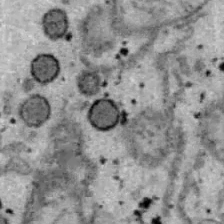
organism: Mouse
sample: Liver from an obese (ob/ob) mouse